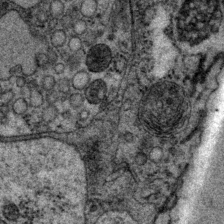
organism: P. pacificus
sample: Pharynx